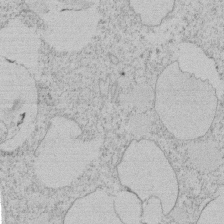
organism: Tetrahymena